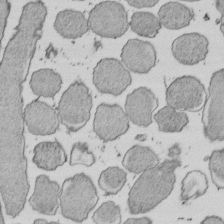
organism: E. coli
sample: Bacterial nucleoid